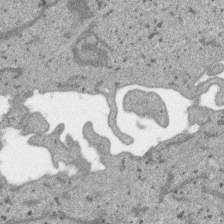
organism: Human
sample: Lung epithelial cells infected with SARS-CoV-2